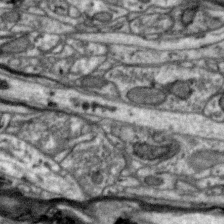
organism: Zebra finch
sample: Brain